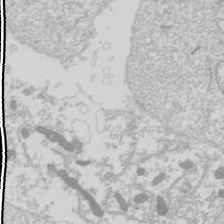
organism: Drosophila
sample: Cell division; meiosis; drosophila spermatocytes